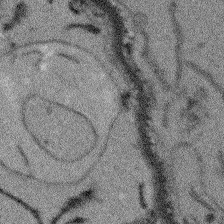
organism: Arabidopsis thaliana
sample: Root tip